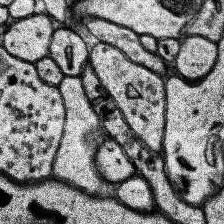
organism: Human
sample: Temporal Lobe